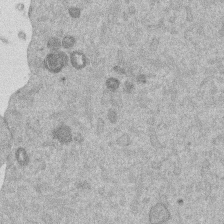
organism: Mouse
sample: Dividing mouse embryo 1 cell stage